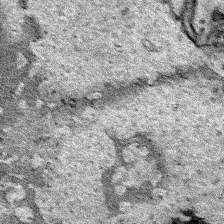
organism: Human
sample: Mitochondria in HCT116 cells